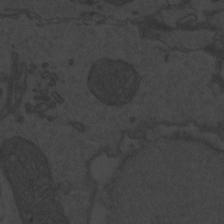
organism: Zebrafish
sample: Macrophage infected with Toxoplasma gondii